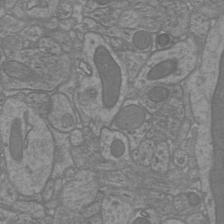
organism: Mouse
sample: Cortical neurons